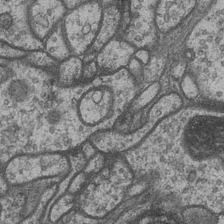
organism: Drosophila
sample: Optic medulla